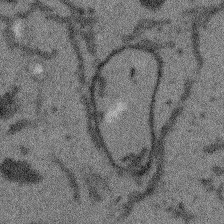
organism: Arabidopsis thaliana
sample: Root tip